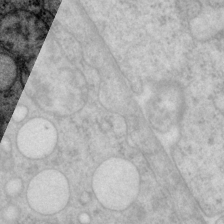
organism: P. pacificus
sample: Pharynx